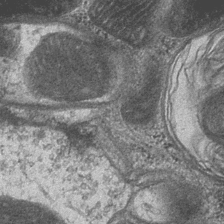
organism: Drosophila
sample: Optic medulla